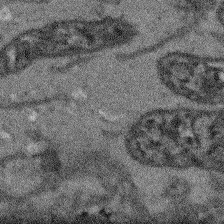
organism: Arabidopsis thaliana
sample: Root tip